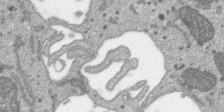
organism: Human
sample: Lung epithelial cells infected with SARS-CoV-2